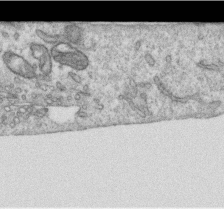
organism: Human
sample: Centriole in RPE cells